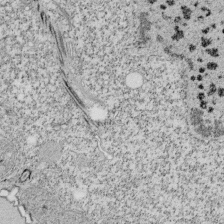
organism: Tetrahymena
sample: Cilia in tetrahymena